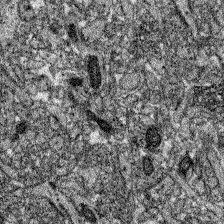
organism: Zebrafish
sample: Larval olfactory bulb